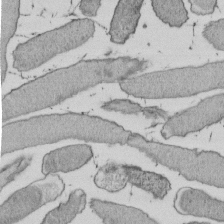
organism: E. coli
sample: Bacterial nucleoid